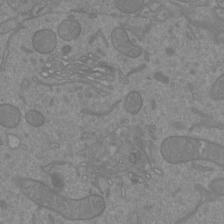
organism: Mouse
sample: Cortical neurons